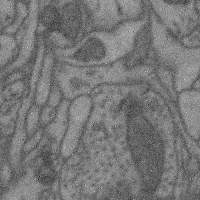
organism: Mouse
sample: Cerebral cortex